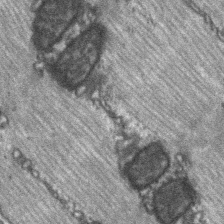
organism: C57BL Mouse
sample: Soleus